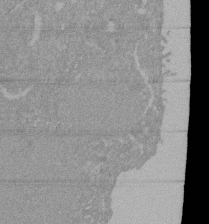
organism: Mouse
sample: ED-1 cell nuclei; centrioles